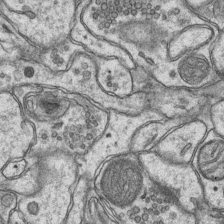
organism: Mouse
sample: CA1 Hippocampus